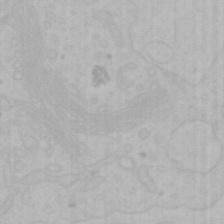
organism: Mouse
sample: Choroid plexus